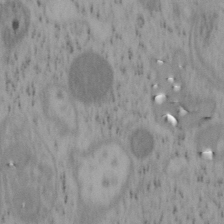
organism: Mouse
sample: OT-I killer T cells with ID8 ovarian cancer cells